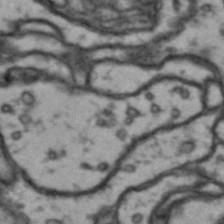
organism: Drosophila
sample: Brain